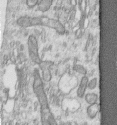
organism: Human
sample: Centriole in RPE cells